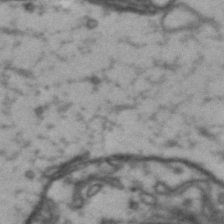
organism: Drosophila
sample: Brain